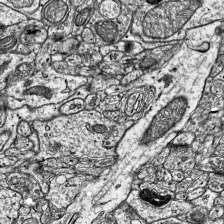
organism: Mouse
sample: Visual Cortex